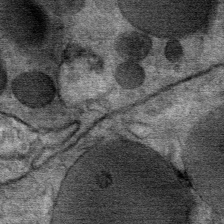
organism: Mouse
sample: Mouse Salivary gland